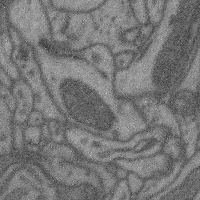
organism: Mouse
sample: Cerebral cortex